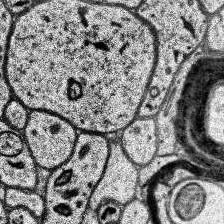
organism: Human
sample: Temporal Lobe